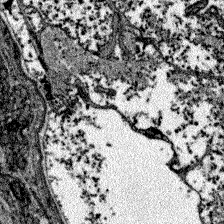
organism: Zebrafish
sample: Larval olfactory bulb